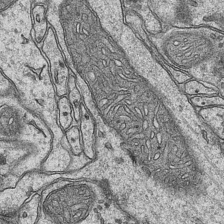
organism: Mouse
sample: CA1 Hippocampus